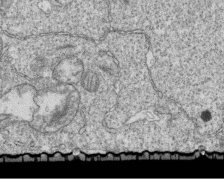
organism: Human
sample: HeLa cell HIV synapse